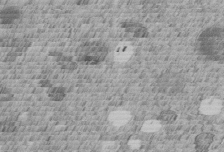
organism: C. elegans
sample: C. elegans embryo early stage